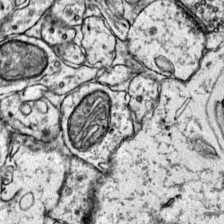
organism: Mouse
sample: Primary visual cortex